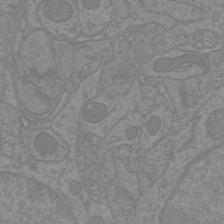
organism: Mouse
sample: Cortical neurons